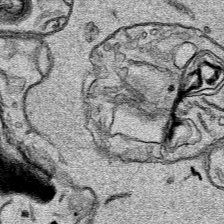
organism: Human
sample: Mitochondria in HCT116 cells